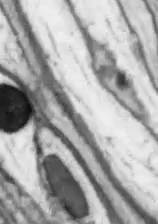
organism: Drosophila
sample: Optic lobe